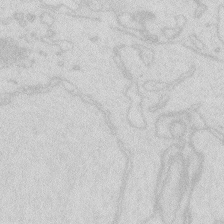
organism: Zebrafish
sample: Macrophage